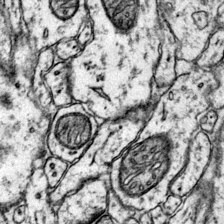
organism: Mouse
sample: Primary visual cortex